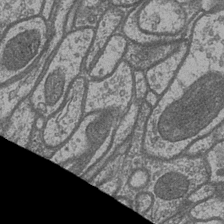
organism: Drosophila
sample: Optic medulla